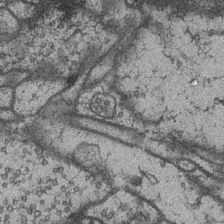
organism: Drosophila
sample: Optic medulla